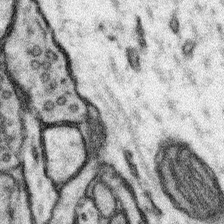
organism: Mouse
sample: Somatosensory cortex neuropil